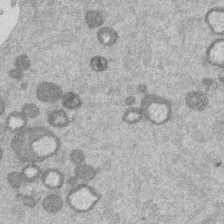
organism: Mouse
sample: Dividing mouse embryo 1 cell stage